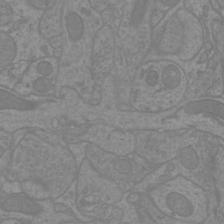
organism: Mouse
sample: Cortical neurons